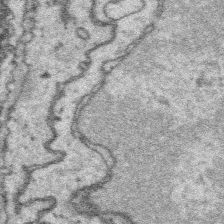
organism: Platynereis dumerilii